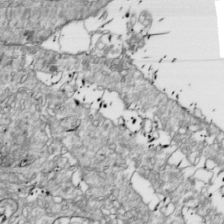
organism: Drosophila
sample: Cell division; meiosis; drosophila spermatocytes